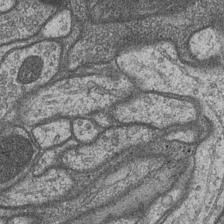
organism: Drosophila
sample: Optic medulla